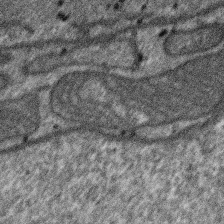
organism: Human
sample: Lung epithelial cells infected with SARS-CoV-2